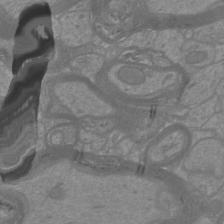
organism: Mouse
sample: Cortical neurons